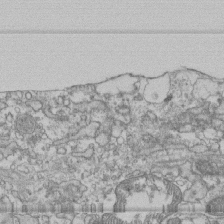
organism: Human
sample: Fibroblast cells